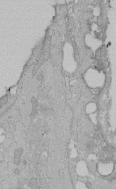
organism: Human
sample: Melanocyte Keratinocyte synapse skin construct